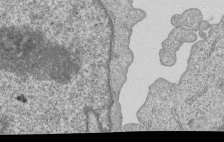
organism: Human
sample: MDA-MB-231 cells